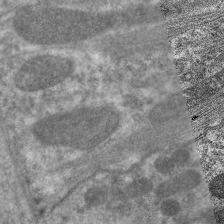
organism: C. elegans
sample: Pharynx